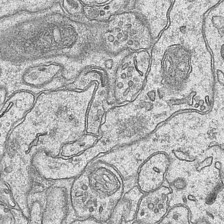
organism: Mouse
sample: CA1 Hippocampus